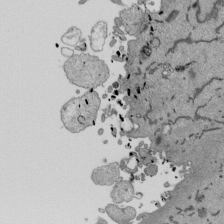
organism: Mouse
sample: ED-1 cell nuclei; centrioles